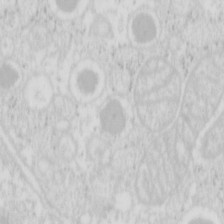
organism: Mouse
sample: Pancreas